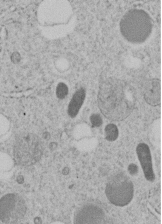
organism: C. elegans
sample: C. elegans embryo early stage